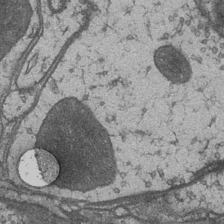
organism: Drosophila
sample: Optic medulla